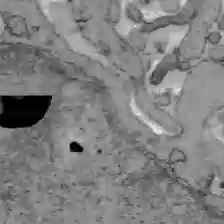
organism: C57BL Mouse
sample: Liver